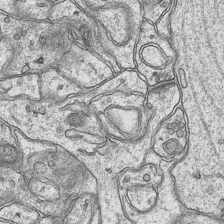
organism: Mouse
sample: CA1 Hippocampus